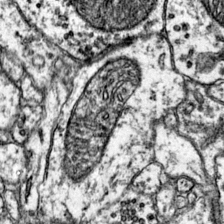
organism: Mouse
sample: Primary visual cortex